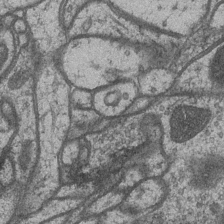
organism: Drosophila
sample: Optic medulla